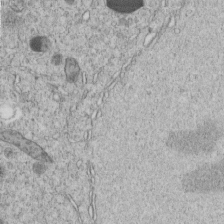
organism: C. elegans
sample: C. elegans embryo early stage